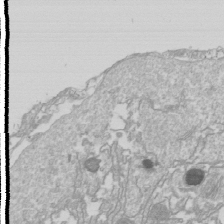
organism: Drosophila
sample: Cell division; meiosis; drosophila spermatocytes